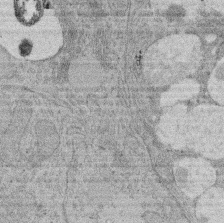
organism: Rat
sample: Salivary granule